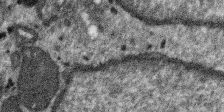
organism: Human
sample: Lung epithelial cells infected with SARS-CoV-2